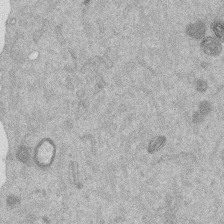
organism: Mouse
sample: Dividing mouse embryo 1 cell stage